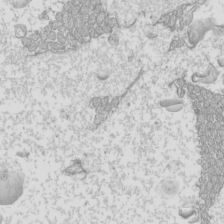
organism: Mouse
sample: Cilia; mouse epididymis